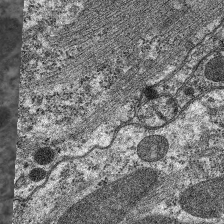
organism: C. elegans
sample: Pharynx